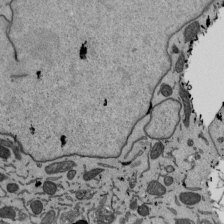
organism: Mouse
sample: ED-1 cell nuclei; centrioles